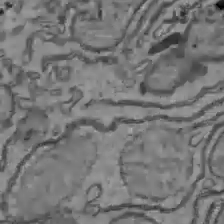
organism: C57BL Mouse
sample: Liver